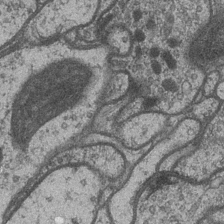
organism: Drosophila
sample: Optic medulla